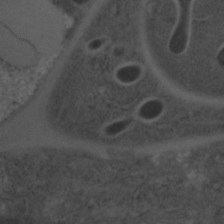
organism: C. elegans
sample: C. elegans embryo